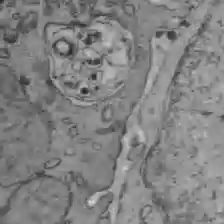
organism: C57BL Mouse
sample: Liver